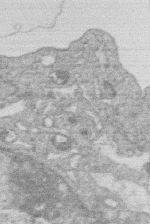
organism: Human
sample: Macrophage cells